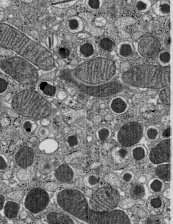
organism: C57BL Mouse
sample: Pancreatic islet